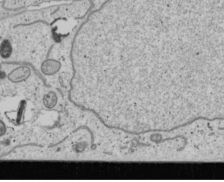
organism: Human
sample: Mitochondria in U2OS cells